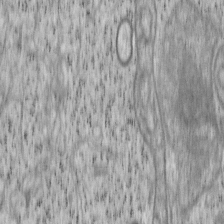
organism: Human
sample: HeLa cells